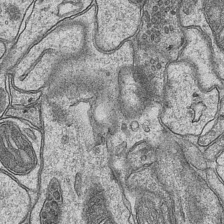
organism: Mouse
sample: CA1 Hippocampus